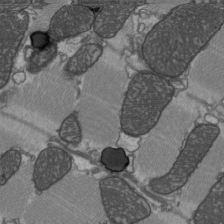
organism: C57BL Mouse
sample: Heart